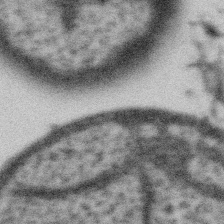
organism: Gemmata obscuriglobus